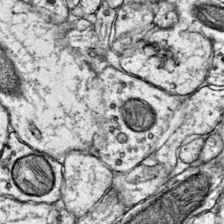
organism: Mouse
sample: Primary visual cortex